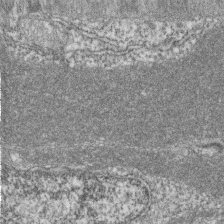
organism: Zebrafish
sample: Cilia; retinal pigment epithelium